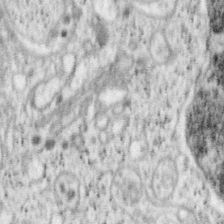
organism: Mouse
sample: OT-I killer T cells with ID8 ovarian cancer cells